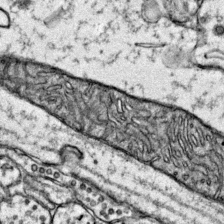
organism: Mouse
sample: Primary visual cortex